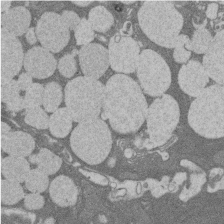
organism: Rat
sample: Salivary granule